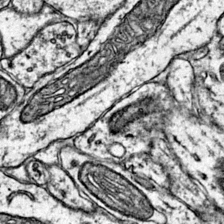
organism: Mouse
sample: Primary visual cortex